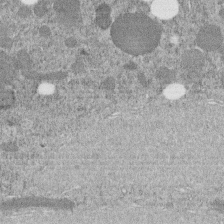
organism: C. elegans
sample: C. elegans embryo early stage